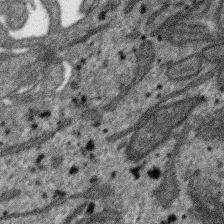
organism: Human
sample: Lung epithelial cells infected with SARS-CoV-2